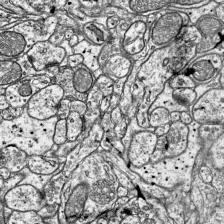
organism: Mouse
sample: Visual Cortex